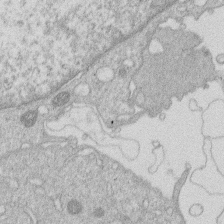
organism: Human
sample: Macrophage cells